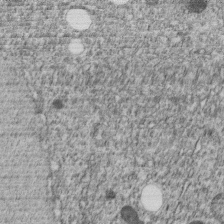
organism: C. elegans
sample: C. elegans embryo early stage